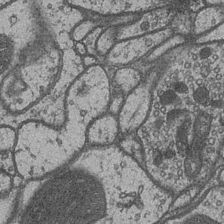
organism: Drosophila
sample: Optic medulla